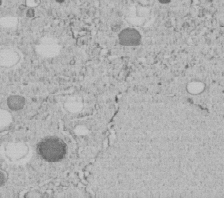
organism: C. elegans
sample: C. elegans embryo early stage